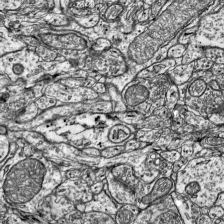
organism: Mouse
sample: Visual Cortex